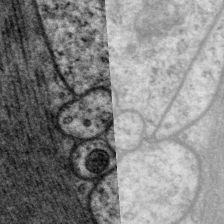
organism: P. pacificus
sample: Pharynx